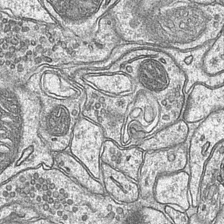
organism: Mouse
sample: CA1 Hippocampus